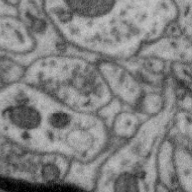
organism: Zebra finch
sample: Brain